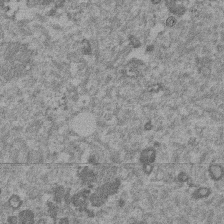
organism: Mouse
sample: Dividing mouse embryo 1 cell stage